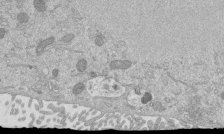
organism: Mouse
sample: ED-1 cell nuclei; centrioles